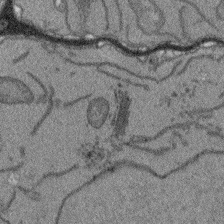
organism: Arabidopsis thaliana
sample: Root tip